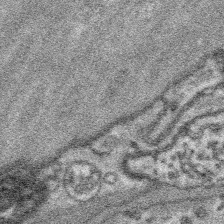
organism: Platynereis dumerilii